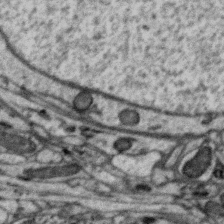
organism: Zebra finch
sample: Brain